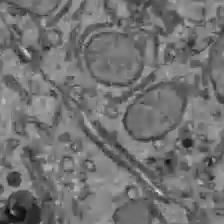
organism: C57BL Mouse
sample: Liver